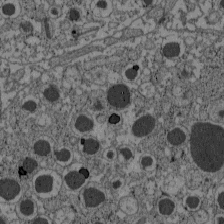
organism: C57BL Mouse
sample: Pancreatic islet